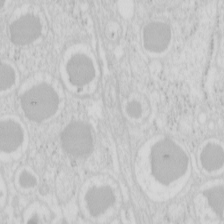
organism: Mouse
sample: Pancreas